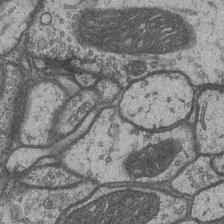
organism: Drosophila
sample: Optic medulla